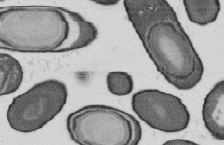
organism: B. subtilis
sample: Bacterial spore